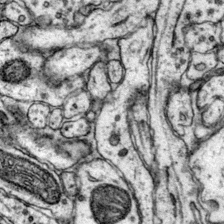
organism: Mouse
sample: Primary visual cortex